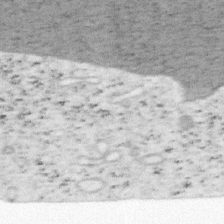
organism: Mouse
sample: OT-I killer T cells with ID8 ovarian cancer cells